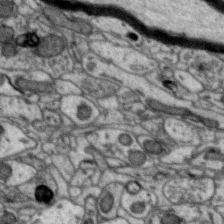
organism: Zebra finch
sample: Brain